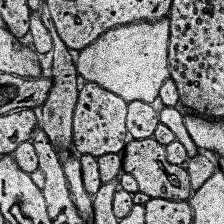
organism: Human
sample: Temporal Lobe